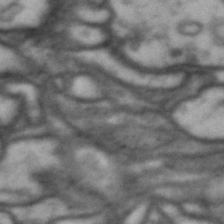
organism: Drosophila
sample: Brain